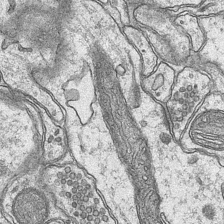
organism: Mouse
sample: CA1 Hippocampus